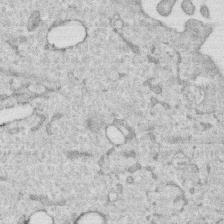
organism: Human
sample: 1205lu cells